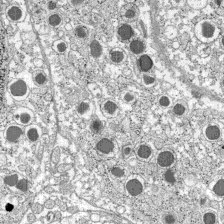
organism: C57BL Mouse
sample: Pancreatic islet